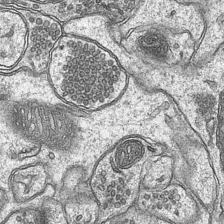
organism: Mouse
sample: CA1 Hippocampus